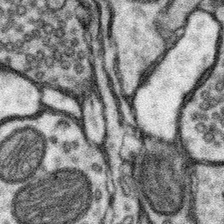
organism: Mouse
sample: Somatosensory cortex neuropil